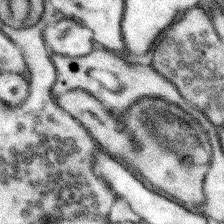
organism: Mouse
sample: Somatosensory cortex neuropil